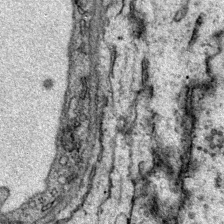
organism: Mouse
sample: Primary visual cortex